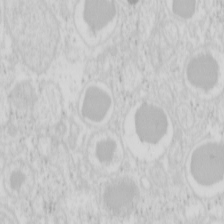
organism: Mouse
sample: Pancreas